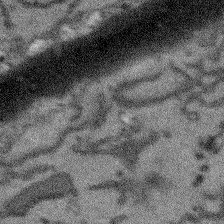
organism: Arabidopsis thaliana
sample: Root tip